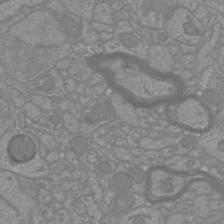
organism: Mouse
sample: Cortical neurons